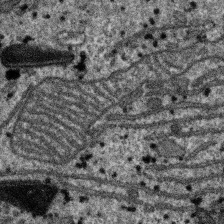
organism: Human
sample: Lung epithelial cells infected with SARS-CoV-2